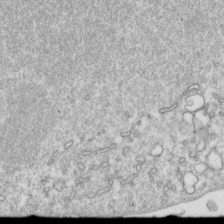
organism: Mouse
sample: Activated OT-1 CD8+ T cells